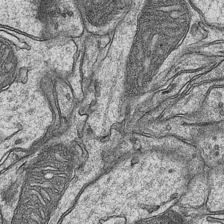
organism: Mouse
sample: CA1 Hippocampus